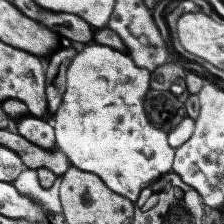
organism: Human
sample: Temporal Lobe